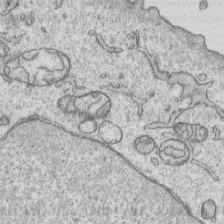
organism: Human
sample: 1205lu cells